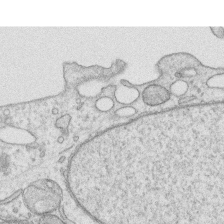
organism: Human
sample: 1205lu cells